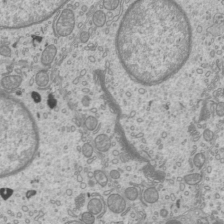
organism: Mouse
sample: Cilia; mouse epididymis